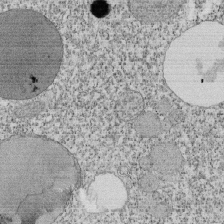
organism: Tetrahymena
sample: Cilia in tetrahymena